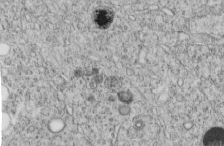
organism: C. elegans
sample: C. elegans embryo early stage